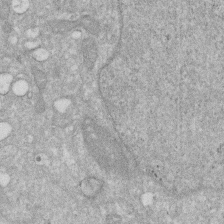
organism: Human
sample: HIV infected U937 cells